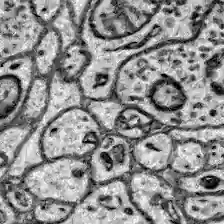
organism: Zebrafish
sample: Brain